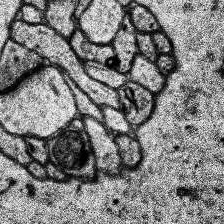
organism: Human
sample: Temporal Lobe